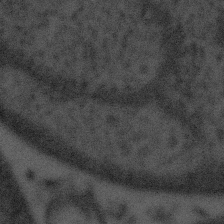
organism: Tuwongella immobilis